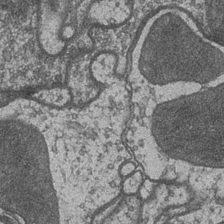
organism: Drosophila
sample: Optic medulla